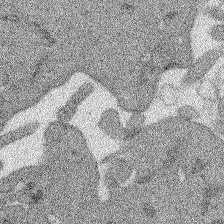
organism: Human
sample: HeLa cells